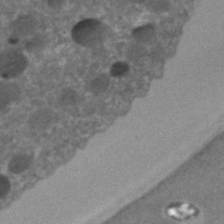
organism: C. elegans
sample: C. elegans embryo